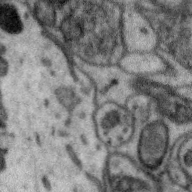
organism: Zebra finch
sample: Brain